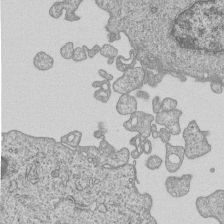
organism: Human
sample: MDA-MB-231 cells